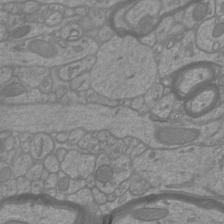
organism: Mouse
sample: Cortical neurons